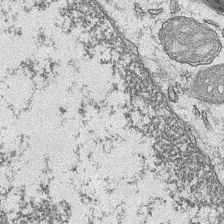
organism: Mouse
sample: CA1 Hippocampus